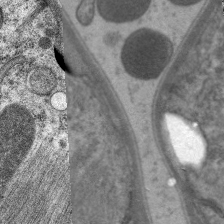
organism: C. elegans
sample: Pharynx